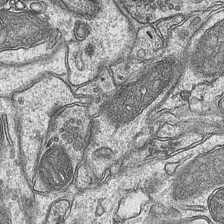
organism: Mouse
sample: CA1 Hippocampus